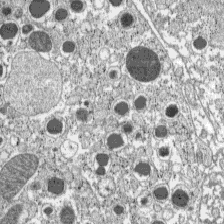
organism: C57BL Mouse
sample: Pancreatic islet